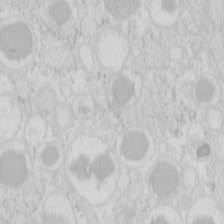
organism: Mouse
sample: Pancreas